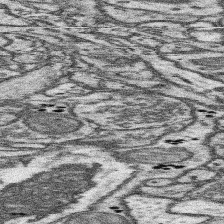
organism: Mouse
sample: Somatosensory cortex neuropil